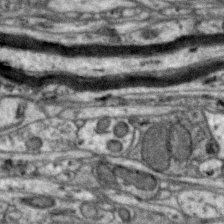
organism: Zebra finch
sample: Brain